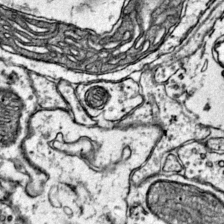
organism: Mouse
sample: Primary visual cortex